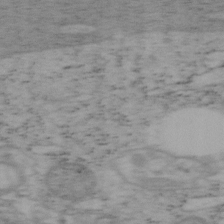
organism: Mouse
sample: OT-I killer T cells with ID8 ovarian cancer cells